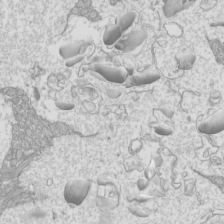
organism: Mouse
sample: Cilia; mouse epididymis